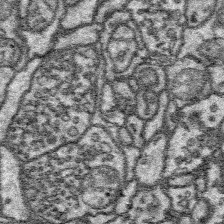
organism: Platynereis dumerilii